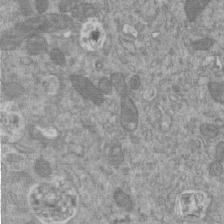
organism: Mouse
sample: ED-1 cell nuclei; centrioles